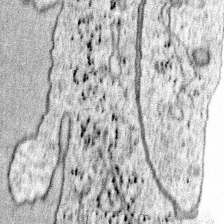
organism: Human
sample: HeLa cells